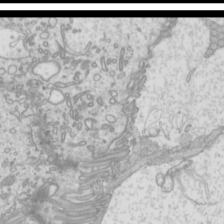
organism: Mouse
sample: Cilia; mouse epididymis